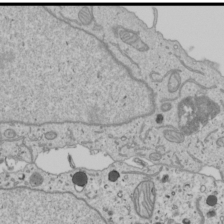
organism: Human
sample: Mitochondria in U2OS cells